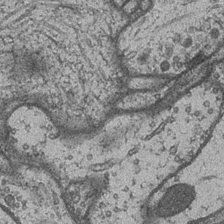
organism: Drosophila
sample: Optic medulla